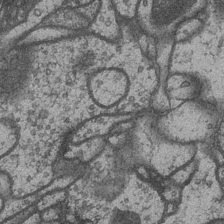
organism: Drosophila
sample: Optic medulla